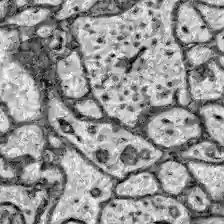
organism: Zebrafish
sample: Brain